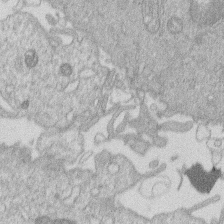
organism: Human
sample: Macrophage cells